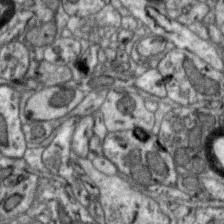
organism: Zebra finch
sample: Brain